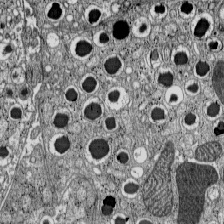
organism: C57BL Mouse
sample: Pancreatic islet